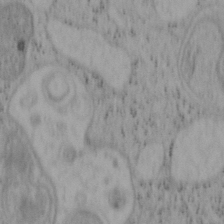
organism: Mouse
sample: OT-I killer T cells with ID8 ovarian cancer cells